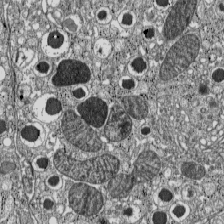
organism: C57BL Mouse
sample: Pancreatic islet